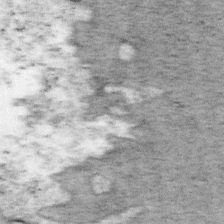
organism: Mouse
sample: OT-I killer T cells with ID8 ovarian cancer cells